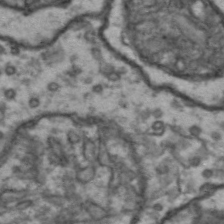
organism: Drosophila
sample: Brain